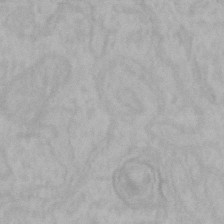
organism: Mouse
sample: Choroid plexus